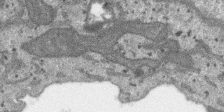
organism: Human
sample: Lung epithelial cells infected with SARS-CoV-2